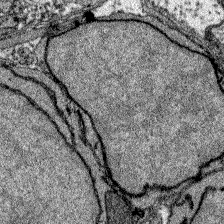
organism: Zebrafish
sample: Larval olfactory bulb